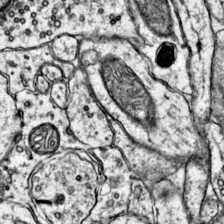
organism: Mouse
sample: Primary visual cortex